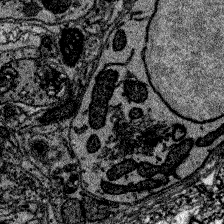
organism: Zebrafish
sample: Larval olfactory bulb